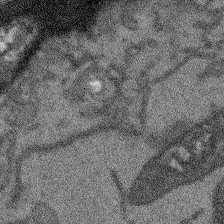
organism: Arabidopsis thaliana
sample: Root tip